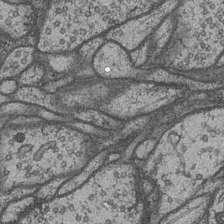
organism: Drosophila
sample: Optic medulla